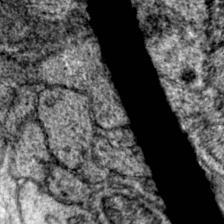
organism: Mouse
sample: Primary visual cortex